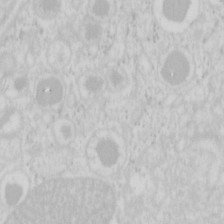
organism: Mouse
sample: Pancreas